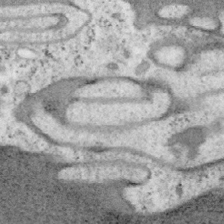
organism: Mouse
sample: OT-I killer T cells with ID8 ovarian cancer cells